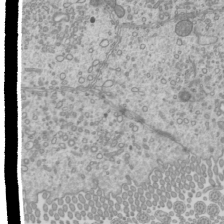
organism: Mouse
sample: Cilia; mouse epididymis